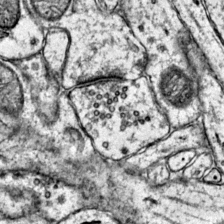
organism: Mouse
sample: Primary visual cortex